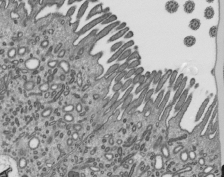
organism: Mouse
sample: Mouse epididymis efferent ductule cilia